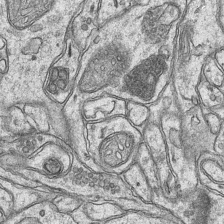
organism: Mouse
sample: CA1 Hippocampus